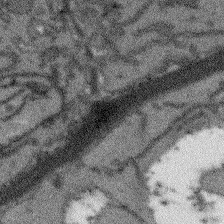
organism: Arabidopsis thaliana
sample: Root tip